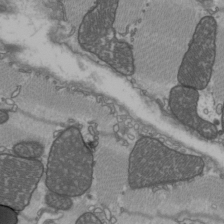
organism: C57BL Mouse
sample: Heart